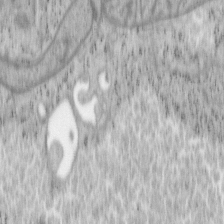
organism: Human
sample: HeLa cells